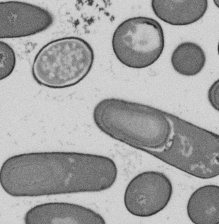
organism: B. subtilis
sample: Bacterial spore